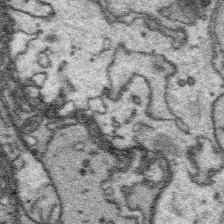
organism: Platynereis dumerilii